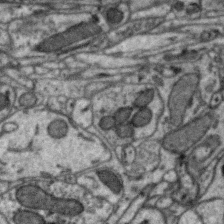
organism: Zebra finch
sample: Brain